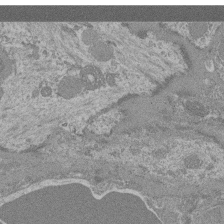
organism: Mouse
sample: Glomerulus